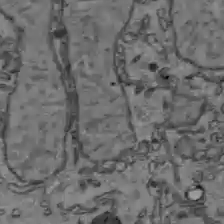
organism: C57BL Mouse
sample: Liver